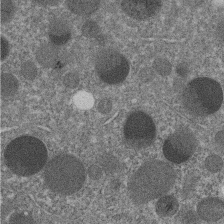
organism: C. elegans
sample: C. elegans embryo early stage